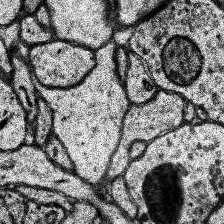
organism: Human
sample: Temporal Lobe